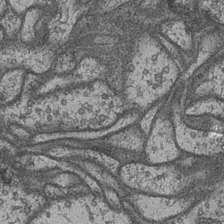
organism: Drosophila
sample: Optic medulla